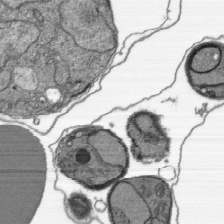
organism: Plasmodium falciparum